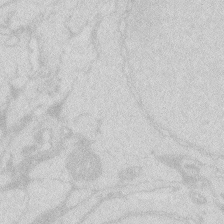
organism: Zebrafish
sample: Macrophage